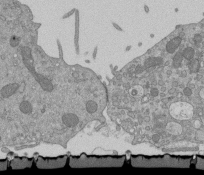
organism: Mouse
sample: ED-1 cell nuclei; centrioles